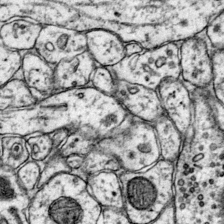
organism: Mouse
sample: Primary visual cortex